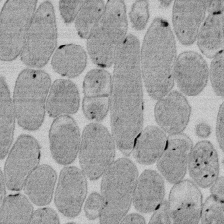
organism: E. coli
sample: Bacterial nucleoid